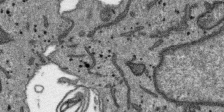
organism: Human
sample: Lung epithelial cells, uninfected (mock) control